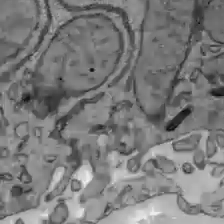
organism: C57BL Mouse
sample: Liver